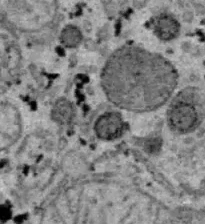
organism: Mouse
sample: Liver from an obese (ob/ob) mouse